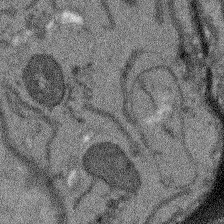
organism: Arabidopsis thaliana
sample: Root tip